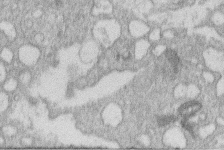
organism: Human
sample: Macrophage cells